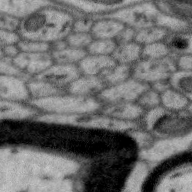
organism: Zebra finch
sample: Brain